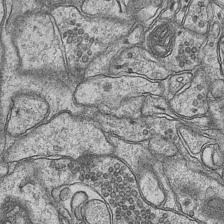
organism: Mouse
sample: CA1 Hippocampus